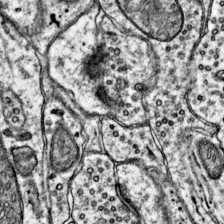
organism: Mouse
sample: Primary visual cortex